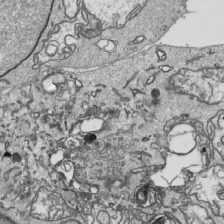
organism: Human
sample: Mitochondria in HCT116 cells